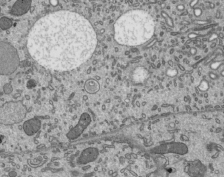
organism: Mouse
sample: Mouse epididymis efferent ductule cilia